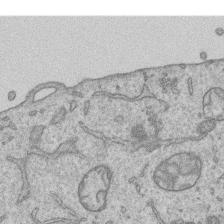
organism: Human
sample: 1205lu cells